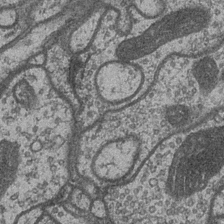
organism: Drosophila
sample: Optic medulla